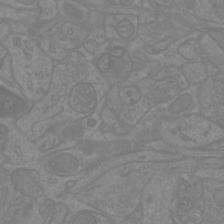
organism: Mouse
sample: Cortical neurons